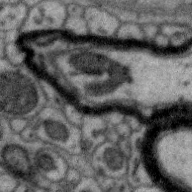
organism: Zebra finch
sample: Brain